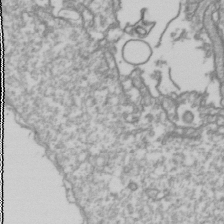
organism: Drosophila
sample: Cell division; meiosis; drosophila spermatocytes